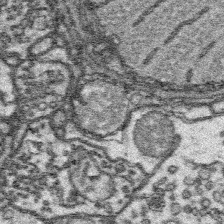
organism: Platynereis dumerilii